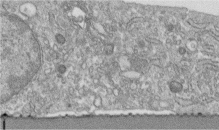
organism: Human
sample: Centriole in fibroblast cells